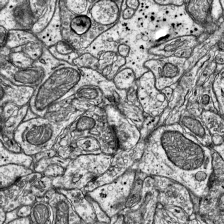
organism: Mouse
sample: Visual Cortex